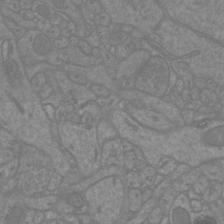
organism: Mouse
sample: Cortical neurons